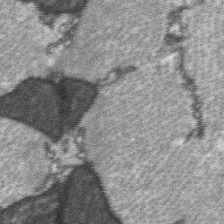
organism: C57BL Mouse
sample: Soleus